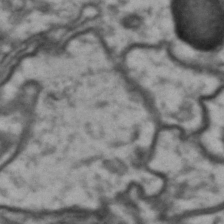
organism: Drosophila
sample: Brain